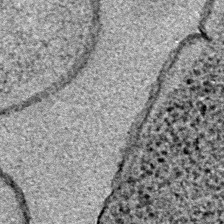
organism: E. coli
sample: E. Coli Bacteria